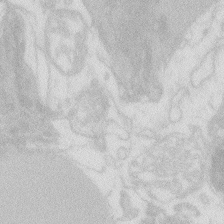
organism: Zebrafish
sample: Macrophage